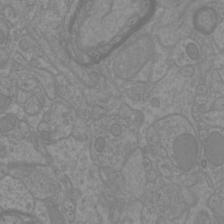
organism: Mouse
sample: Cortical neurons